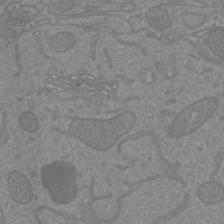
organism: Mouse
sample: Cortical neurons